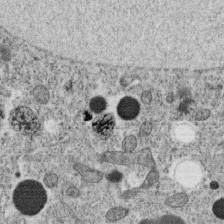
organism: C. elegans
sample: C. elegans oocyte; sperm cells